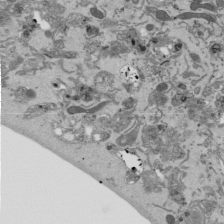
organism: Mouse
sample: ED-1 cell nuclei; centrioles